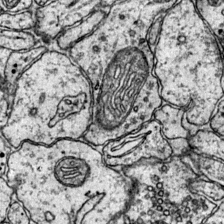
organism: Mouse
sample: Primary visual cortex